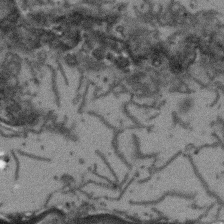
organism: Arabidopsis thaliana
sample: Root tip